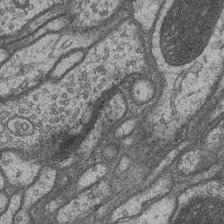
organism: Drosophila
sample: Optic medulla